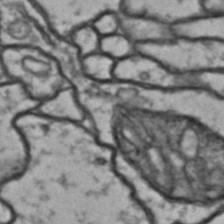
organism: Drosophila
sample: Brain